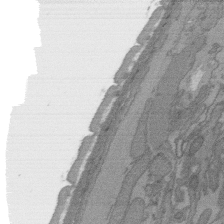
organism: C. elegans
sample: AFD neurons C. elegans